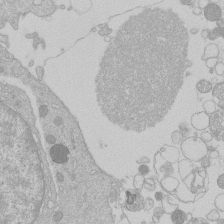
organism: Human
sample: Macrophage cells